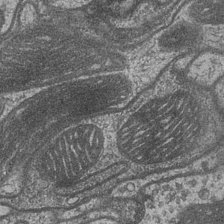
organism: Drosophila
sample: Optic medulla